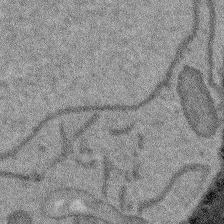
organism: Arabidopsis thaliana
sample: Root tip